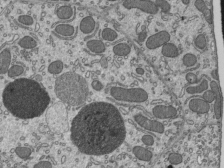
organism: Mouse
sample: Mouse epididymis efferent ductule cilia